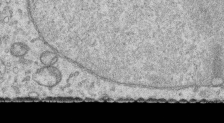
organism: Human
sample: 1205lu cells